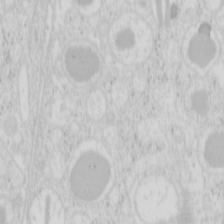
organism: Mouse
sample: Pancreas